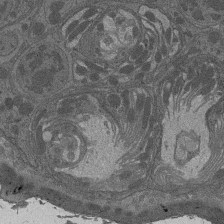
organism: Drosophila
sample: Antenna